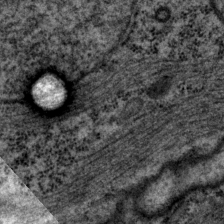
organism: P. pacificus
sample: Pharynx